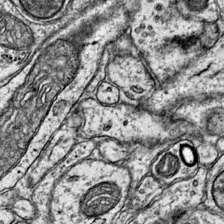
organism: Mouse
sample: Primary visual cortex